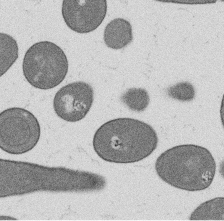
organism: B. subtilis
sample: Bacterial spore